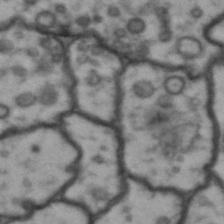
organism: Drosophila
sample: Brain